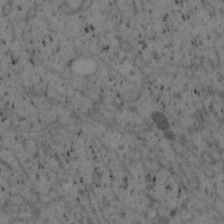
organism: Human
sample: HeLa cells